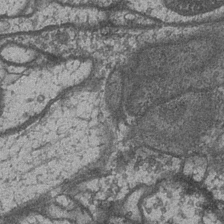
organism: Drosophila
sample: Optic medulla